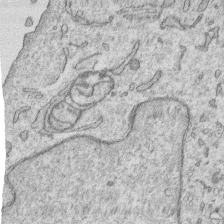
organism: Human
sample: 1205lu cells